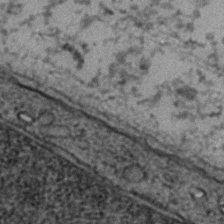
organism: Zebrafish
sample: Zebrafish embryo